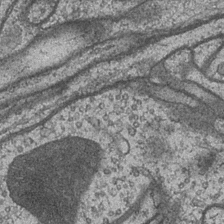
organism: Drosophila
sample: Optic medulla